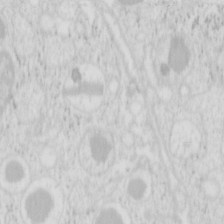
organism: Mouse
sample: Pancreas